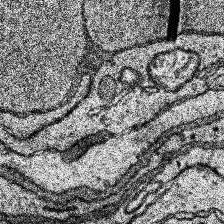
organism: Human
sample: Temporal Lobe